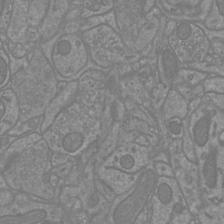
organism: Mouse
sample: Cortical neurons